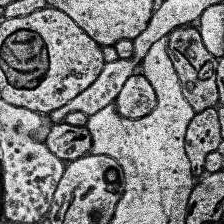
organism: Human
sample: Temporal Lobe